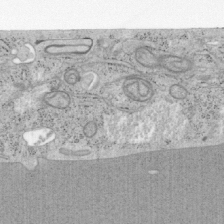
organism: Human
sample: HeLa cells